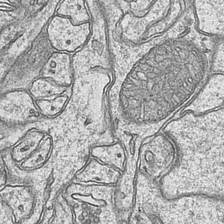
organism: Mouse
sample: CA1 Hippocampus